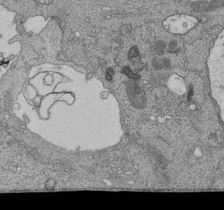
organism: Human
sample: Retinal organoid Rod and Cone cells